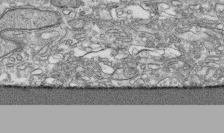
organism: Human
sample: CRL-1474